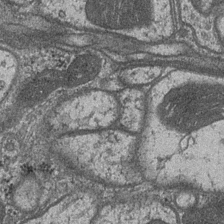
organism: Drosophila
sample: Optic medulla